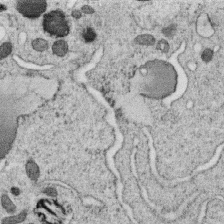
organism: C. elegans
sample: C. elegans oocyte; sperm cells